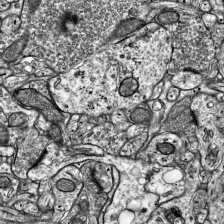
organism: Mouse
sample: Visual Cortex